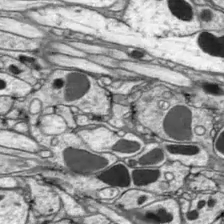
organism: Drosophila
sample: Optic lobe